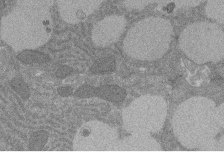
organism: Rat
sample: Salivary granule